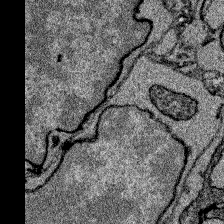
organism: Zebrafish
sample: Larval olfactory bulb